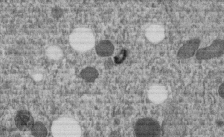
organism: C. elegans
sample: C. elegans embryo early stage